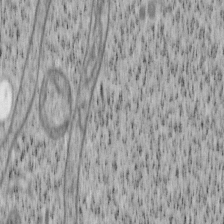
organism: Human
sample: HeLa cells